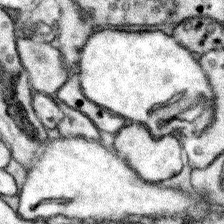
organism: Mouse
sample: Somatosensory cortex neuropil